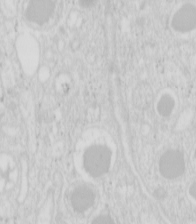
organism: Mouse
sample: Pancreas